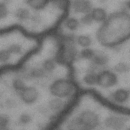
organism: Drosophila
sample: Brain